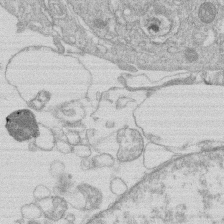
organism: Human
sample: Macrophage cells